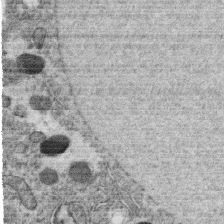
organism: C. elegans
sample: C. elegans oocyte; sperm cells